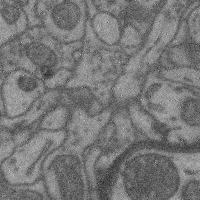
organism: Mouse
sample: Cerebral cortex